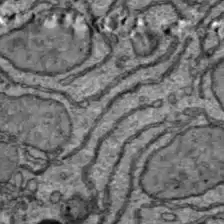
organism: C57BL Mouse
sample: Liver